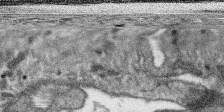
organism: Human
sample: Lung epithelial cells infected with SARS-CoV-2